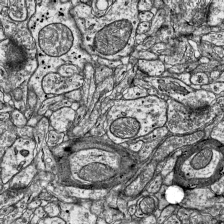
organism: Mouse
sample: Visual Cortex